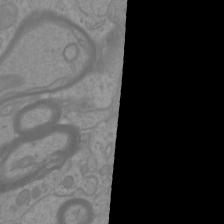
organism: Mouse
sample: Cortical neurons